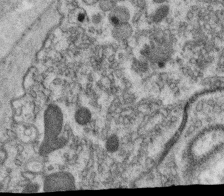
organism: C. elegans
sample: C. elegans oocyte; sperm cells